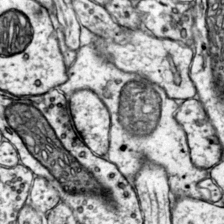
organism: Mouse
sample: Primary visual cortex